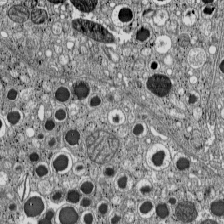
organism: C57BL Mouse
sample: Pancreatic islet